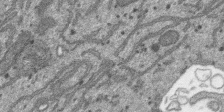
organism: Human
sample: Lung epithelial cells infected with SARS-CoV-2